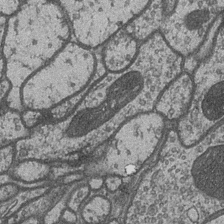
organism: Drosophila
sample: Optic medulla